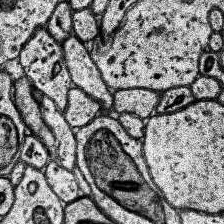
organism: Human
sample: Temporal Lobe